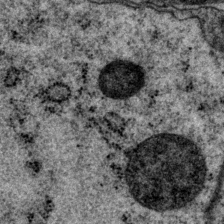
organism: P. pacificus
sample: Pharynx